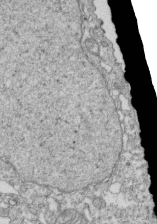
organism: Human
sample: HeLa cell HIV synapse